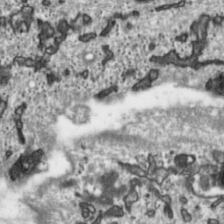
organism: Toxoplasma gondii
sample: Parasites in a vacuole inside a host cell